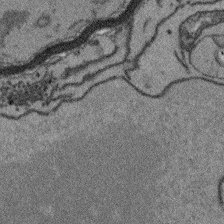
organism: Arabidopsis thaliana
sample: Root tip